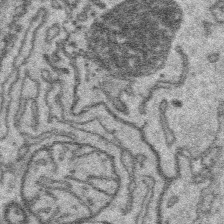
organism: Platynereis dumerilii